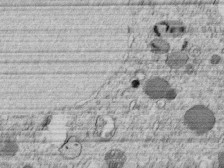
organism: C. elegans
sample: C. elegans embryo early stage